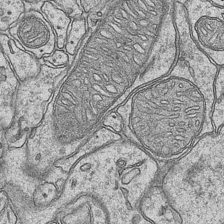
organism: Mouse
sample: CA1 Hippocampus